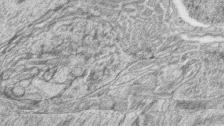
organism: Zebrafish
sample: synaptic ribbons in rod cells and cone cells